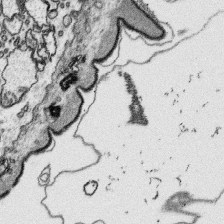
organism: Platynereis dumerilii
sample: Parapodia